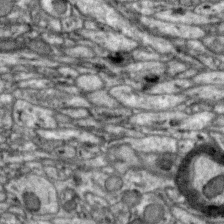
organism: Zebra finch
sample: Brain